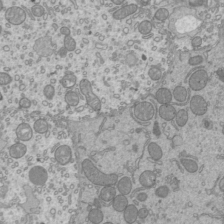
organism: Mouse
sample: Cilia; mouse epididymis